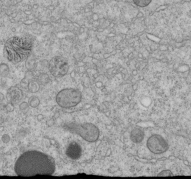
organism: C. elegans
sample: C. elegans embryo early stage